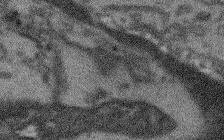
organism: Arabidopsis thaliana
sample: Root tip